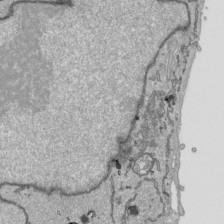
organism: Human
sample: Mitochondria in HCT116 cells